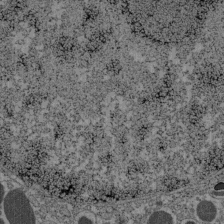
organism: C57BL Mouse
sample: Pancreatic islet